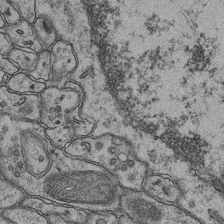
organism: Mouse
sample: CA1 Hippocampus